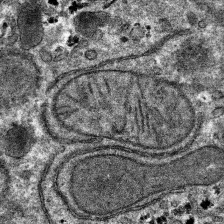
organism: Mouse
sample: Mouse hepatocytes